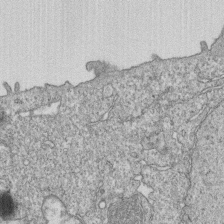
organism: Human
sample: HeLa cell HIV synapse